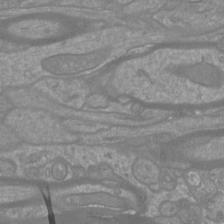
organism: Mouse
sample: Cortical neurons